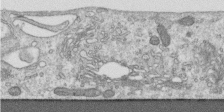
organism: Human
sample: Centriole in RPE cells